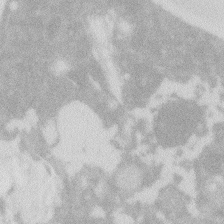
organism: Zebrafish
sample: Macrophage